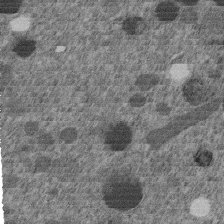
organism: C. elegans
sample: C. elegans embryo early stage